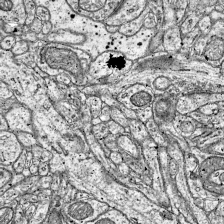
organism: Mouse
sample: Visual Cortex